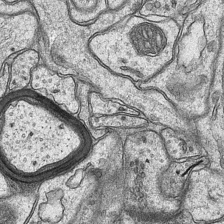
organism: Mouse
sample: CA1 Hippocampus